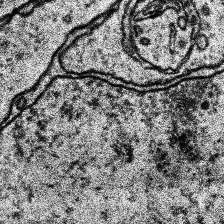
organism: Human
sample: Temporal Lobe